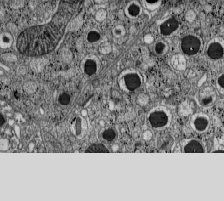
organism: C57BL Mouse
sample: Pancreatic islet